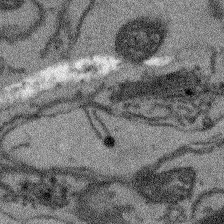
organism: Arabidopsis thaliana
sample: Root tip